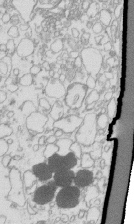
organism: Mouse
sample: Macrophages